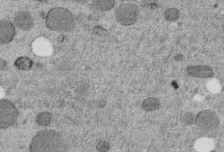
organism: C. elegans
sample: C. elegans embryo early stage